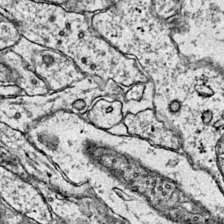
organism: Mouse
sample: Primary visual cortex